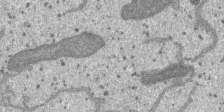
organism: Human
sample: Lung epithelial cells infected with SARS-CoV-2